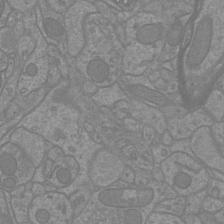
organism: Mouse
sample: Cortical neurons